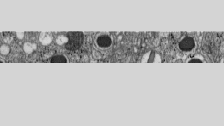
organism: C57BL Mouse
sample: Pancreatic islet